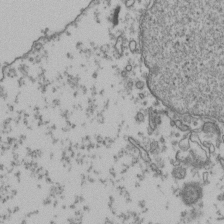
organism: Human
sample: Activated Jurkat CD4+ T cells